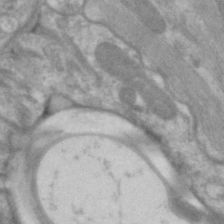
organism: C. elegans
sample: Pharynx